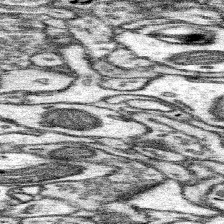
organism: Mouse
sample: Somatosensory cortex neuropil